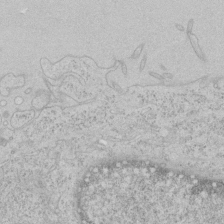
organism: Human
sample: Mitochondria in HCT116 cells